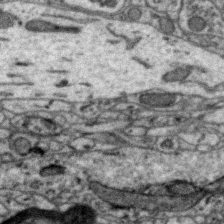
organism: Zebra finch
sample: Brain